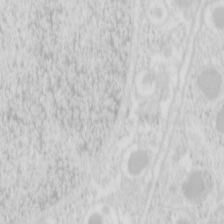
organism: Mouse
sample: Pancreas